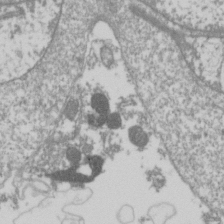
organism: Drosophila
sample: Cell division; meiosis; drosophila spermatocytes